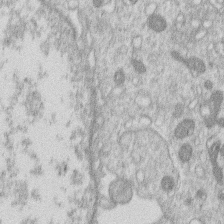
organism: Human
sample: Macrophage cells